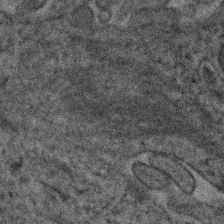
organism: Human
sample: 1205lu cells